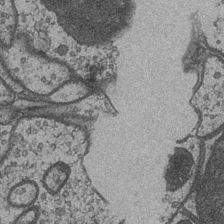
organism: Drosophila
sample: Optic medulla